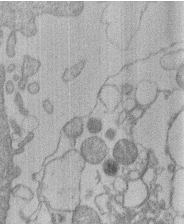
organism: Human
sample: Macrophage cells